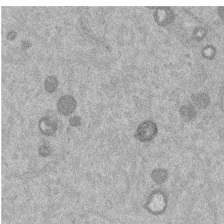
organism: Mouse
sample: Dividing mouse embryo 1 cell stage